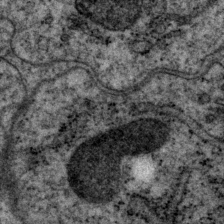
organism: P. pacificus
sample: Pharynx